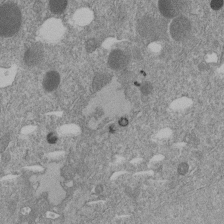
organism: C. elegans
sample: C. elegans embryo early stage